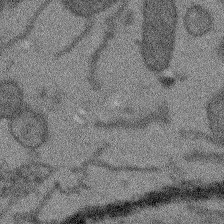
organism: Arabidopsis thaliana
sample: Root tip